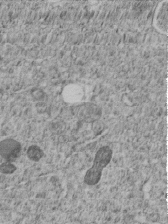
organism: C. elegans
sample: C. elegans embryo early stage